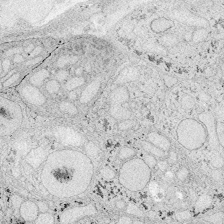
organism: Zebrafish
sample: Whole-Brain